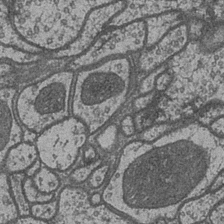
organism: Drosophila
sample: Optic medulla